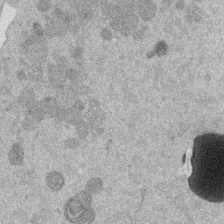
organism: Mouse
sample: Dividing mouse embryo 1 cell stage